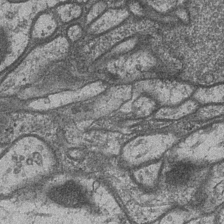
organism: Drosophila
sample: Optic medulla